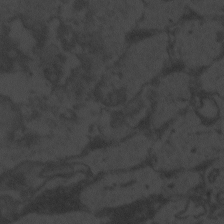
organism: Zebrafish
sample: Macrophage infected with Toxoplasma gondii